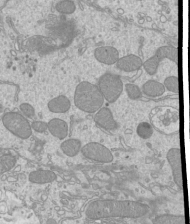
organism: Mouse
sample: Cilia; mouse epididymis